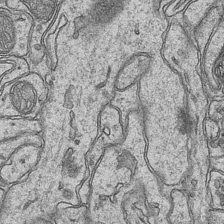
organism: Mouse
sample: CA1 Hippocampus